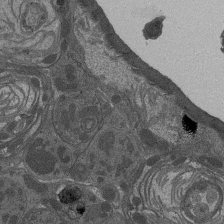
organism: Drosophila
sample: Antenna